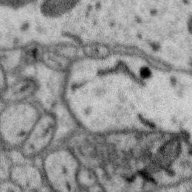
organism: Zebra finch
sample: Brain